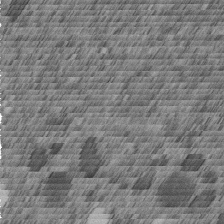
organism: C. elegans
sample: C. elegans embryo early stage